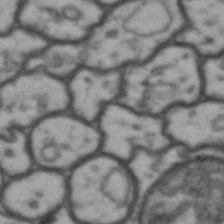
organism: Drosophila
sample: Brain